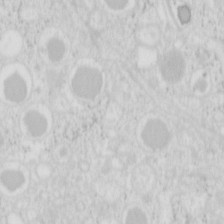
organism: Mouse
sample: Pancreas